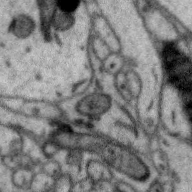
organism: Zebra finch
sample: Brain